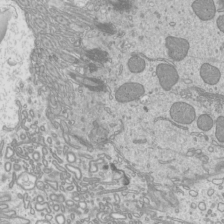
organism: Mouse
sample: Cilia; mouse epididymis